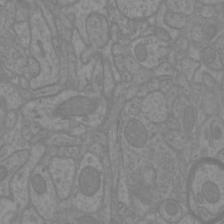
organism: Mouse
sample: Cortical neurons